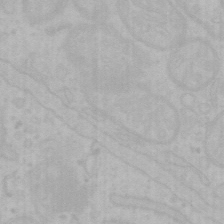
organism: Mouse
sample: Choroid plexus